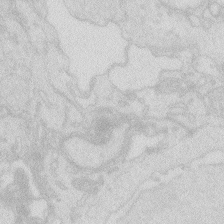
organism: Zebrafish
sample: Macrophage